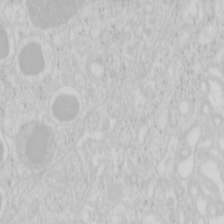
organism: Mouse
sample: Pancreas